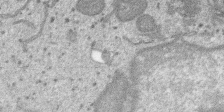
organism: Human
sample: Lung epithelial cells infected with SARS-CoV-2